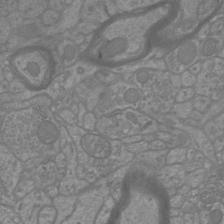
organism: Mouse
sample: Cortical neurons